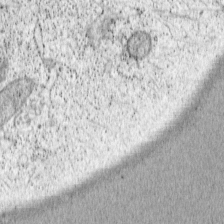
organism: African green monkey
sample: COS-7 cells